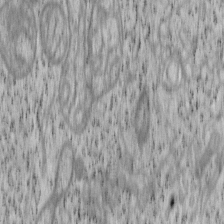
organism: Human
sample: HeLa cells